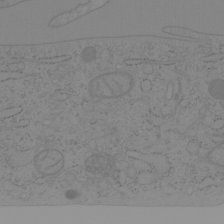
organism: Human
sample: HeLa cells